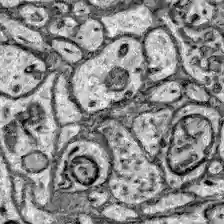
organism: Zebrafish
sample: Brain